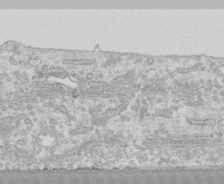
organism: Human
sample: CRL-1474